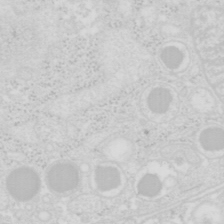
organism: Mouse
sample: Pancreas